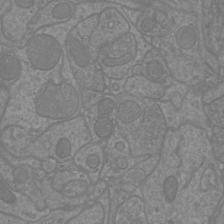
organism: Mouse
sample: Cortical neurons